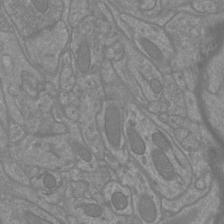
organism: Mouse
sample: Cortical neurons